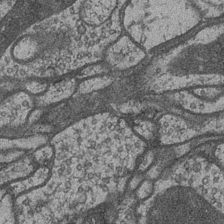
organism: Drosophila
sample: Optic medulla